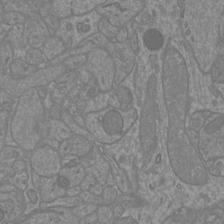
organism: Mouse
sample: Cortical neurons